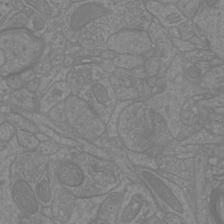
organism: Mouse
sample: Cortical neurons